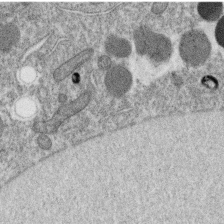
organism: C. elegans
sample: C. elegans oocyte; sperm cells